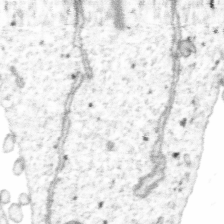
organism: Human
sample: HeLa cells